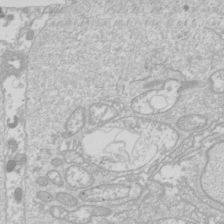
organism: Drosophila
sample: Cell division; meiosis; drosophila spermatocytes